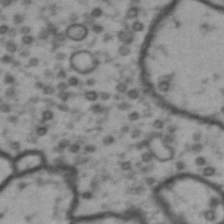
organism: Drosophila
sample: Brain